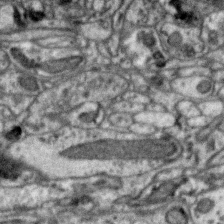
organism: Zebra finch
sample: Brain